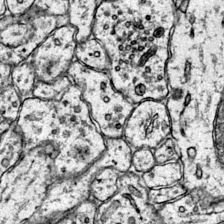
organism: Mouse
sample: Primary visual cortex